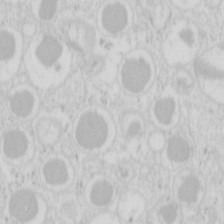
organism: Mouse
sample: Pancreas